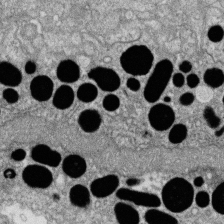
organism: Zebrafish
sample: Cilia; retinal pigment epithelium